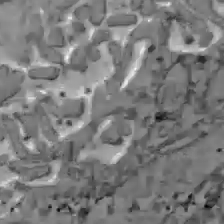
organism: C57BL Mouse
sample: Liver